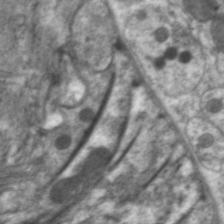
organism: C. elegans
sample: Pharynx